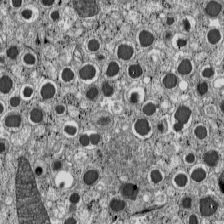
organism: C57BL Mouse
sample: Pancreatic islet